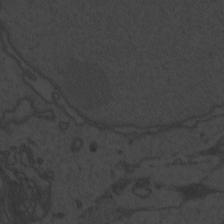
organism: Zebrafish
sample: Macrophage infected with Toxoplasma gondii